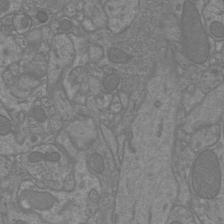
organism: Mouse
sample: Cortical neurons